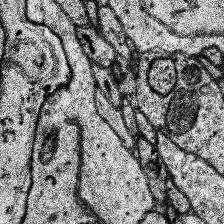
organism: Human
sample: Temporal Lobe